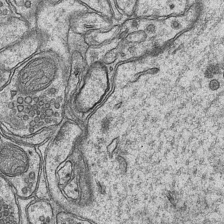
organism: Mouse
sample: CA1 Hippocampus